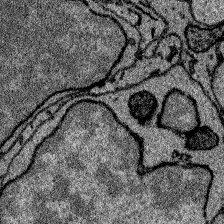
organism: Zebrafish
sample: Larval olfactory bulb